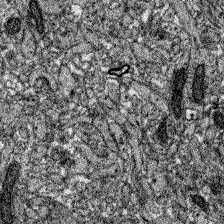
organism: Zebrafish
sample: Larval olfactory bulb